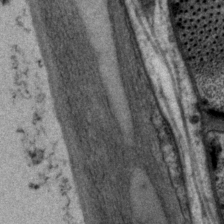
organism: P. pacificus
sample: Pharynx